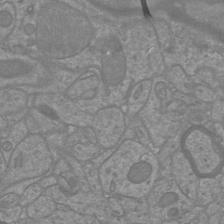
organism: Mouse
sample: Cortical neurons